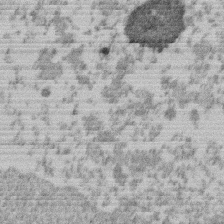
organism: Mouse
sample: Dividing mouse embryo 1 cell stage